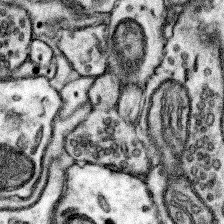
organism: Mouse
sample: Somatosensory cortex neuropil